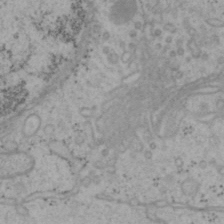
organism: Human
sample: HeLa cells